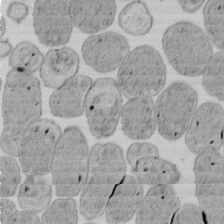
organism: E. coli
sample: Bacterial nucleoid